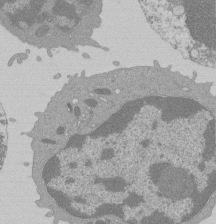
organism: Mouse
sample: Activated Pmel transgenic CD8+ T Cells